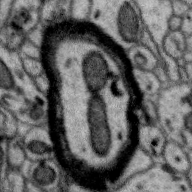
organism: Zebra finch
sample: Brain